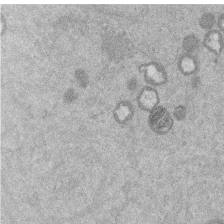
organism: Mouse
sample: Dividing mouse embryo 1 cell stage